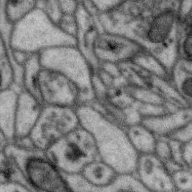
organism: Zebra finch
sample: Brain